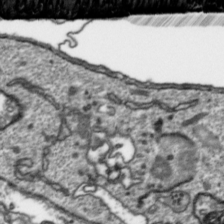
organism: Toxoplasma gondii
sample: Parasites in a vacuole inside a host cell